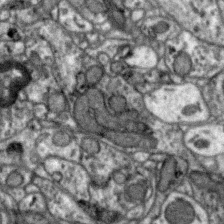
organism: Zebra finch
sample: Brain